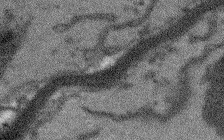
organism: Arabidopsis thaliana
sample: Root tip